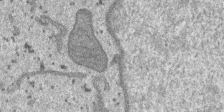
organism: Human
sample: Lung epithelial cells infected with SARS-CoV-2